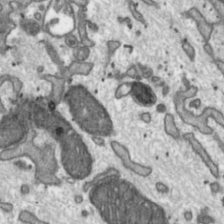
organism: Toxoplasma gondii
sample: Parasites in a vacuole inside a host cell